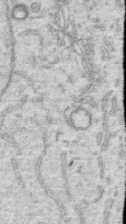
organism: Human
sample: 1205lu cells